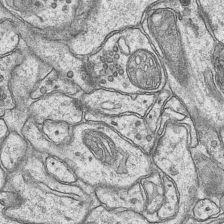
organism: Mouse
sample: CA1 Hippocampus